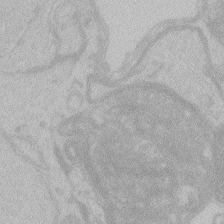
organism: Zebrafish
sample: Macrophage infected with Toxoplasma gondii